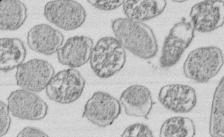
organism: E. coli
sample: Bacterial nucleoid